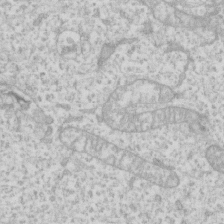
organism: Human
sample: Fibroblast cells